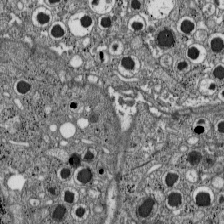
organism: C57BL Mouse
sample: Pancreatic islet